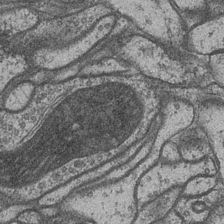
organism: Drosophila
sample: Optic medulla